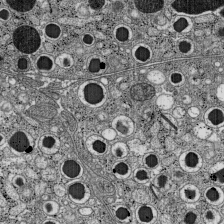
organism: C57BL Mouse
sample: Pancreatic islet